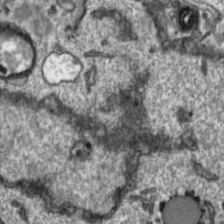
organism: Toxoplasma gondii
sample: Parasites in a vacuole inside a host cell